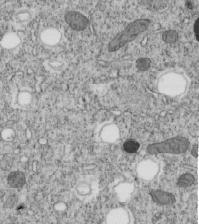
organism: C. elegans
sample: C. elegans embryo early stage